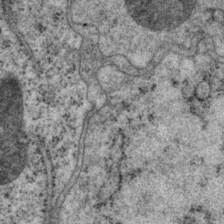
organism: P. pacificus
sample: Pharynx